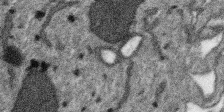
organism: Human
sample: Lung epithelial cells infected with SARS-CoV-2